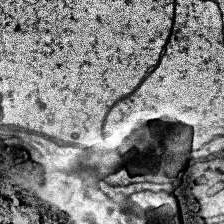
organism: Human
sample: Temporal Lobe